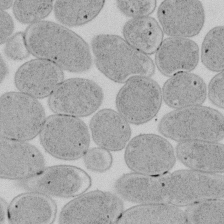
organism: E. coli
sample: Bacterial nucleoid